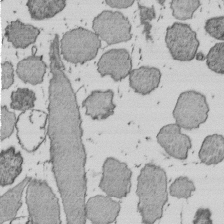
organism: E. coli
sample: Bacterial nucleoid